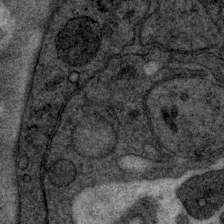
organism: P. pacificus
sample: Pharynx